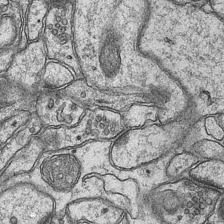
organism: Mouse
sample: CA1 Hippocampus